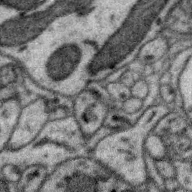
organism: Zebra finch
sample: Brain